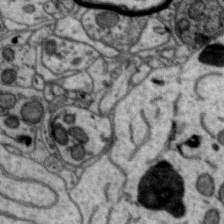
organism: Zebra finch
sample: Brain